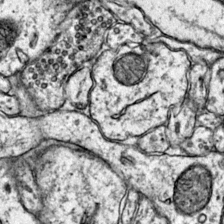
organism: Mouse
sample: Primary visual cortex